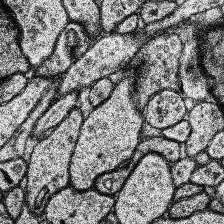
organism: Human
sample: Temporal Lobe